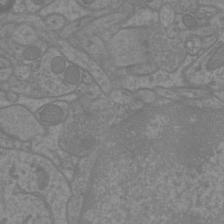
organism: Mouse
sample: Cortical neurons